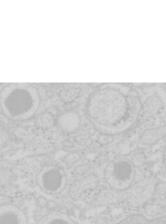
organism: Mouse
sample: Pancreas